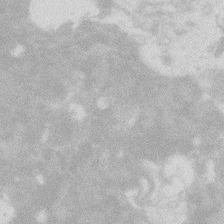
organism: Zebrafish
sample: Macrophage